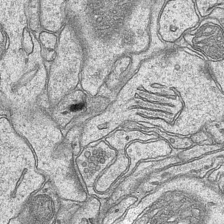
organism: Mouse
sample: CA1 Hippocampus